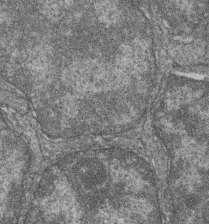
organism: Zebrafish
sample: Cilia; retinal pigment epithelium